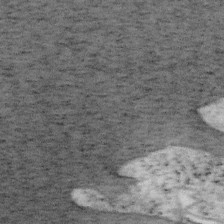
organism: Mouse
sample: OT-I killer T cells with ID8 ovarian cancer cells